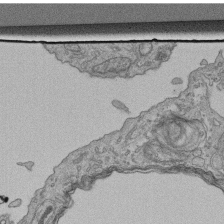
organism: Human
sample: Retinal organoid Rod and Cone cells